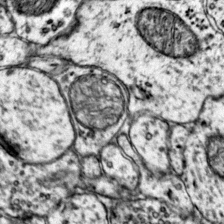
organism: Mouse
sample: Primary visual cortex